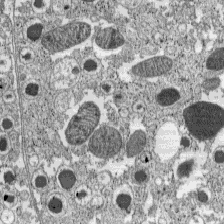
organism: C57BL Mouse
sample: Pancreatic islet